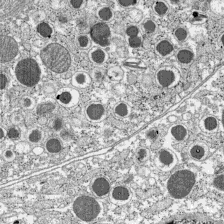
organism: C57BL Mouse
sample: Pancreatic islet